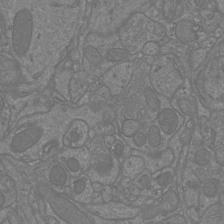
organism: Mouse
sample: Cortical neurons